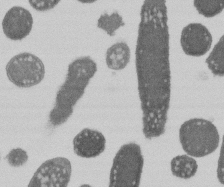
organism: E. coli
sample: Bacterial nucleoid